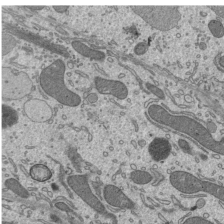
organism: Mouse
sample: Mouse epididymis efferent ductule cilia